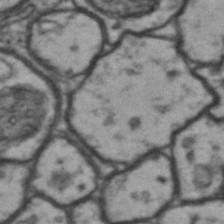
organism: Drosophila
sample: Brain